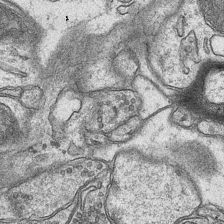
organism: Mouse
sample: CA1 Hippocampus